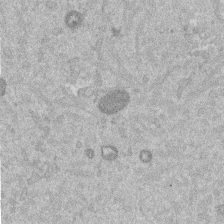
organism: Mouse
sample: Dividing mouse embryo 1 cell stage